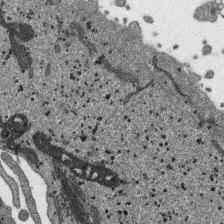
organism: Human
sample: Lung epithelial cells infected with SARS-CoV-2